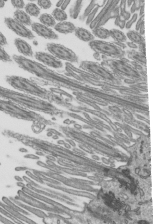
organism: Mouse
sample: Mouse epididymis efferent ductule cilia